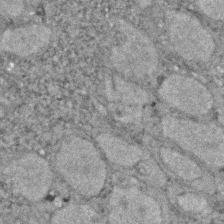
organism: Zebrafish